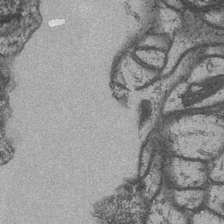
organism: Drosophila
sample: Optic medulla